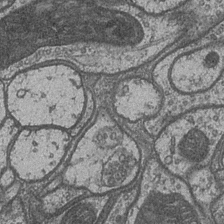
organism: Drosophila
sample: Optic medulla